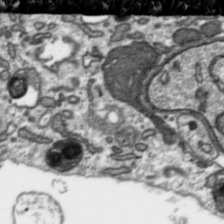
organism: Toxoplasma gondii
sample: Parasites in a vacuole inside a host cell